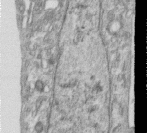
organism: Human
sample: Centriole in RPE cells